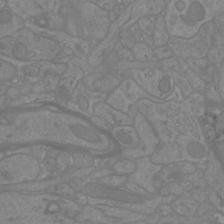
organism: Mouse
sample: Cortical neurons